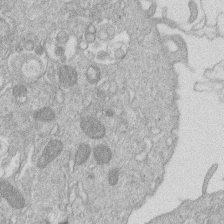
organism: Human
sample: Macrophage cells